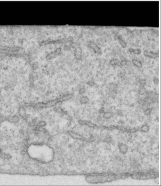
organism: Human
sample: Centriole in RPE cells